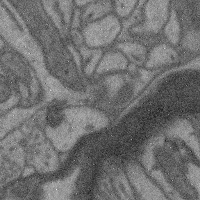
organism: Mouse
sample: Cerebral cortex